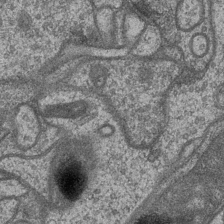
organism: Drosophila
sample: Optic medulla